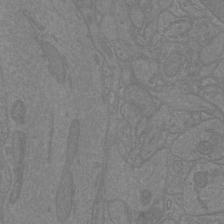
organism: Mouse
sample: Cortical neurons